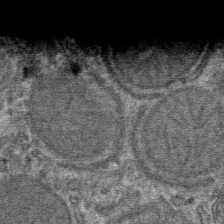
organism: Mouse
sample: Mouse hepatocytes